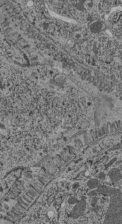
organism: C. elegans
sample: C. elegans pharynx